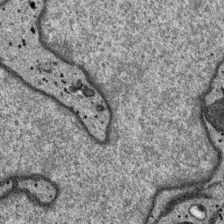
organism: Human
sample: Lung epithelial cells, uninfected (mock) control